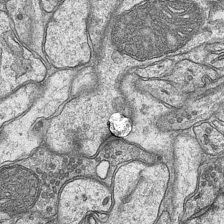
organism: Mouse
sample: CA1 Hippocampus